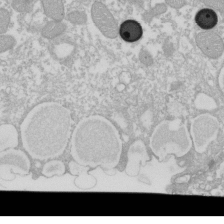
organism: Xenopus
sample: Cilia; centrioles in frog embryo cells